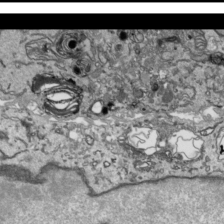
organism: Human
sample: Mitochondria in HCT116 cells